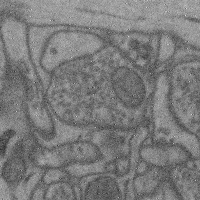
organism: Mouse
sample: Cerebral cortex